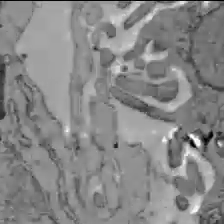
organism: C57BL Mouse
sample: Liver